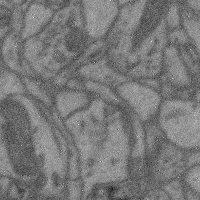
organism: Mouse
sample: Cerebral cortex